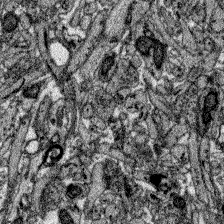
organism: Zebrafish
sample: Larval olfactory bulb